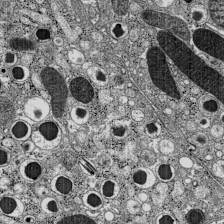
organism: C57BL Mouse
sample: Pancreatic islet